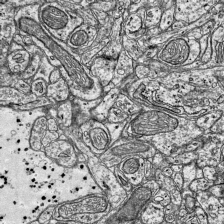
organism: Mouse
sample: Visual Cortex